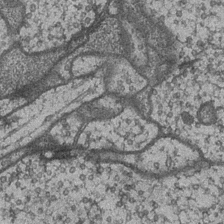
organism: Drosophila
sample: Optic medulla